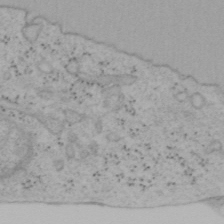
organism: Human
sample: HeLa cells